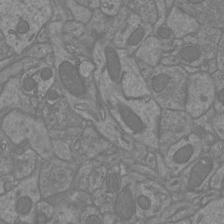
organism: Mouse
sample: Cortical neurons